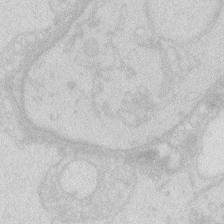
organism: Zebrafish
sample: Macrophage